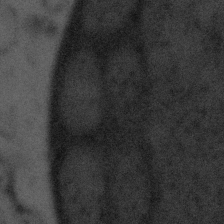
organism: Tuwongella immobilis